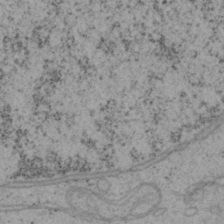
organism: Human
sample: HeLa cells